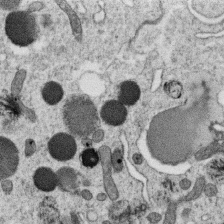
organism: C. elegans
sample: C. elegans oocyte; sperm cells